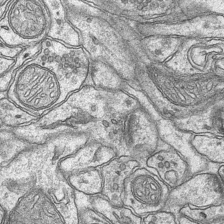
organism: Mouse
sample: CA1 Hippocampus